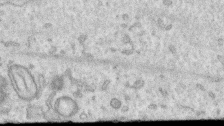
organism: Human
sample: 1205lu cells